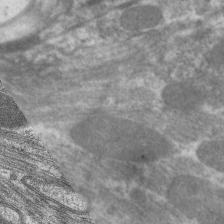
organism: C. elegans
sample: Pharynx